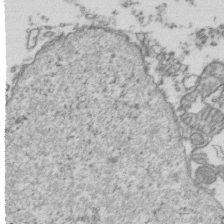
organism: Human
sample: Activated Jurkat CD4+ T cells